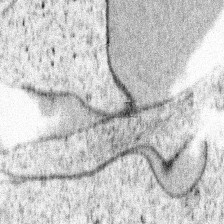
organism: Human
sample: HeLa cells